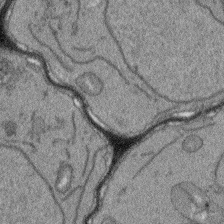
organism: Arabidopsis thaliana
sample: Root tip